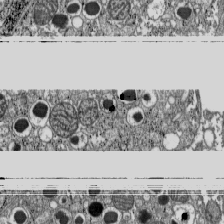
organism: C57BL Mouse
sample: Pancreatic islet